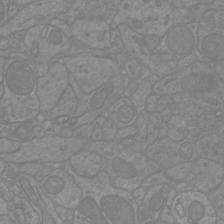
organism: Mouse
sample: Cortical neurons